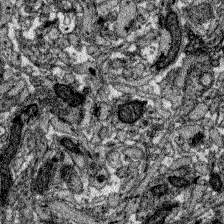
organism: Zebrafish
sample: Larval olfactory bulb